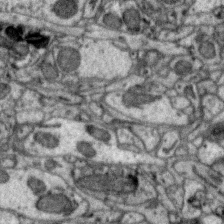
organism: Zebra finch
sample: Brain